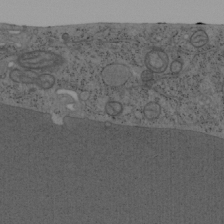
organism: Human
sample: HeLa cells